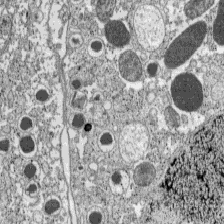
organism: C57BL Mouse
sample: Pancreatic islet